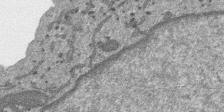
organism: Human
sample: Lung epithelial cells infected with SARS-CoV-2